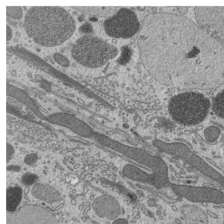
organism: Mouse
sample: Mouse epididymis efferent ductule cilia